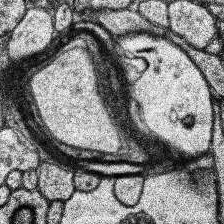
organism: Human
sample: Temporal Lobe